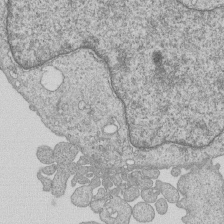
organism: Human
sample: MDA-MB-231 cells